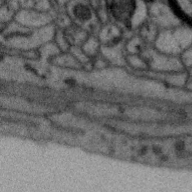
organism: Zebra finch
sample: Brain